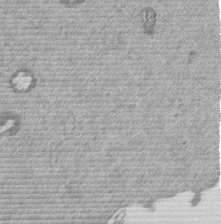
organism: Mouse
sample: Dividing mouse embryo 1 cell stage